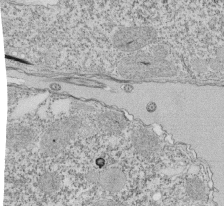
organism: Tetrahymena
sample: Cilia in tetrahymena